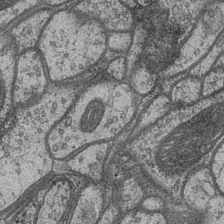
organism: Drosophila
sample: Optic medulla